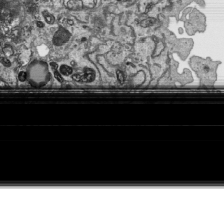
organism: Human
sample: Mitochondria in HCT116 cells